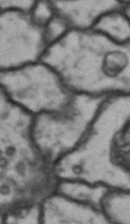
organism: Drosophila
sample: Brain